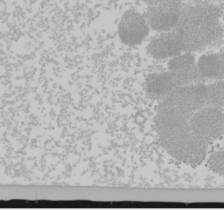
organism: Mouse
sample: Cancer cell death in ED-1 cells